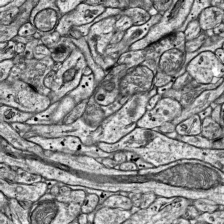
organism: Mouse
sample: Visual Cortex